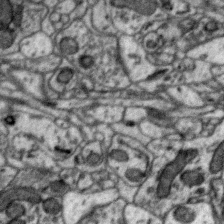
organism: Zebra finch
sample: Brain